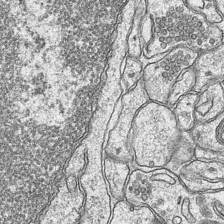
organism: Mouse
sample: CA1 Hippocampus